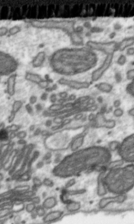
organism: Toxoplasma gondii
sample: Parasites in a vacuole inside a host cell